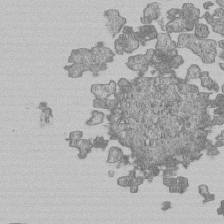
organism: Human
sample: MDA-MB-231 cells